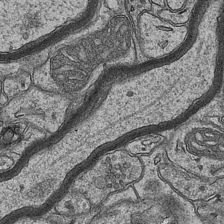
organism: Mouse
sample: CA1 Hippocampus